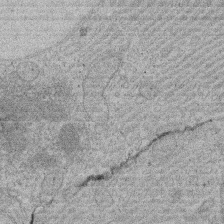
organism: Rat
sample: Salivary granule